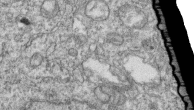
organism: Human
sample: HeLa cell HIV synapse